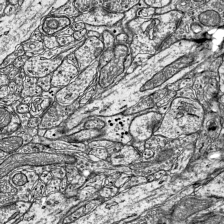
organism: Mouse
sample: Visual Cortex